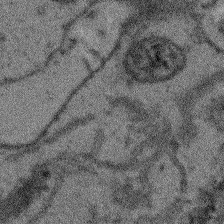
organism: Arabidopsis thaliana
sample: Root tip